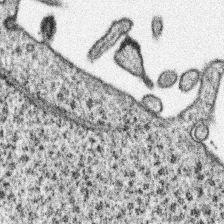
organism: Human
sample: HeLa cells